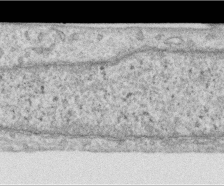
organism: Human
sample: Centriole in RPE cells